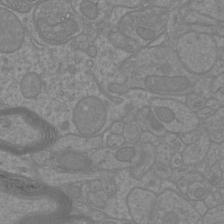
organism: Mouse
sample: Cortical neurons